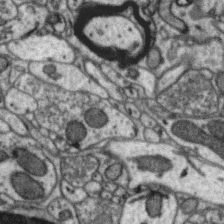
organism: Zebra finch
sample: Brain